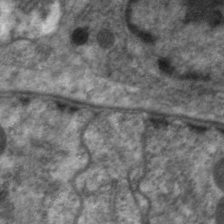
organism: C. elegans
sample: Pharynx